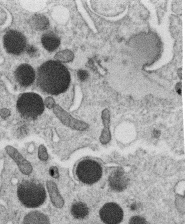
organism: C. elegans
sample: C. elegans oocyte; sperm cells